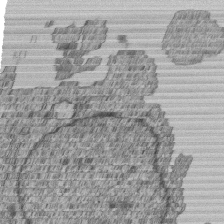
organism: Human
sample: MDA-MB-231 cells